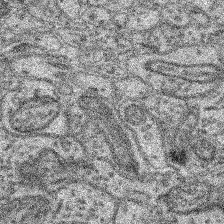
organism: Mouse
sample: Retina